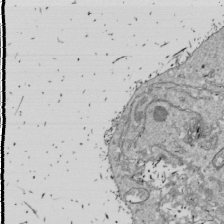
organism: Drosophila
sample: Cell division; meiosis; drosophila spermatocytes